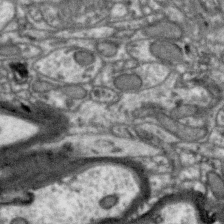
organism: Zebra finch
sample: Brain